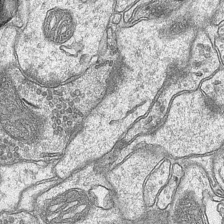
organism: Mouse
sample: CA1 Hippocampus